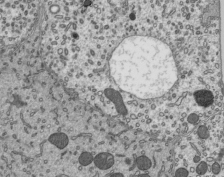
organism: Mouse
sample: Mouse epididymis efferent ductule cilia